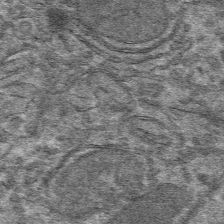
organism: Mouse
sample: Mouse hepatocytes